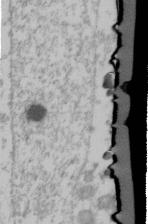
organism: Human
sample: U2-OS cells